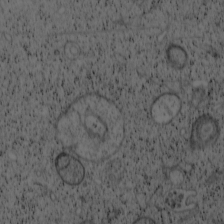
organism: African green monkey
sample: COS-7 cells